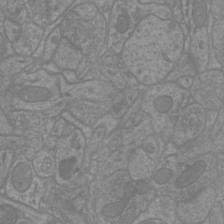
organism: Mouse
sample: Cortical neurons